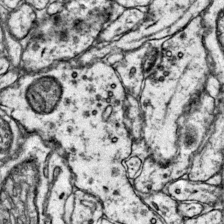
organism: Mouse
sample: Primary visual cortex